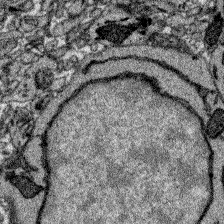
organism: Zebrafish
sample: Larval olfactory bulb